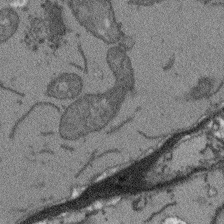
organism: Arabidopsis thaliana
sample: Root tip